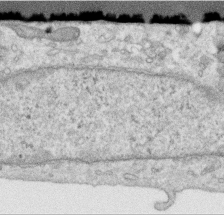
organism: Human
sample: Centriole in RPE cells